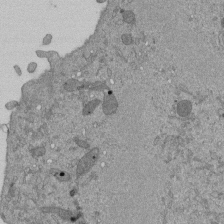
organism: Mouse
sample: ED-1 cell nuclei; centrioles